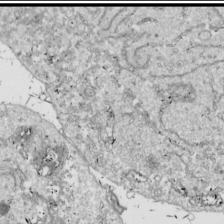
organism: Drosophila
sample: Cell division; meiosis; drosophila spermatocytes